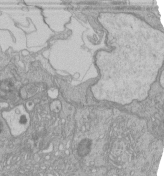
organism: Human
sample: Retinal organoid Rod and Cone cells